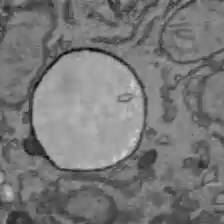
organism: C57BL Mouse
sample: Liver